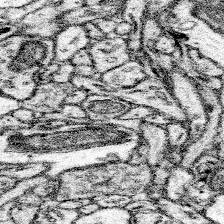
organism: Mouse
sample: Somatosensory cortex neuropil